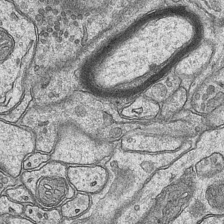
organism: Mouse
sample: CA1 Hippocampus